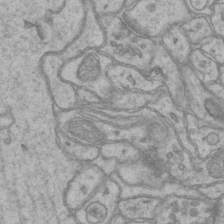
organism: Mouse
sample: CA1 Hippocampus